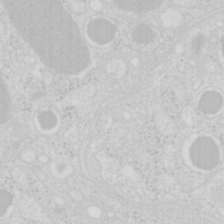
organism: Mouse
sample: Pancreas